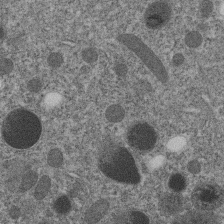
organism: C. elegans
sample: C. elegans embryo early stage